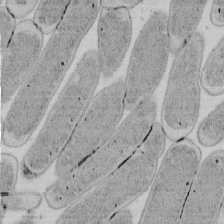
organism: E. coli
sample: Bacterial nucleoid